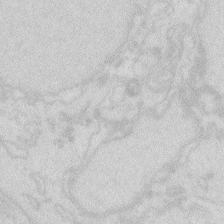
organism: Zebrafish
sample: Macrophage